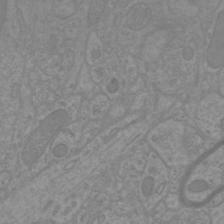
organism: Mouse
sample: Cortical neurons